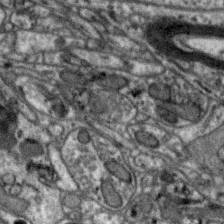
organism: Zebra finch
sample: Brain